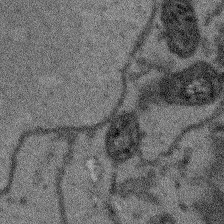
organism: Arabidopsis thaliana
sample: Root tip